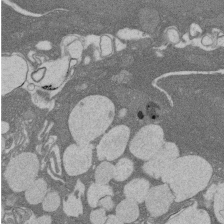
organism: Rat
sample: Salivary granule